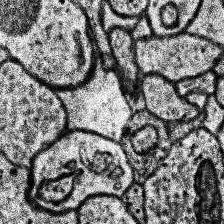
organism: Human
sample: Temporal Lobe